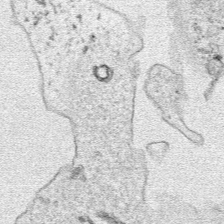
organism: Human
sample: Mitochondria in HCT116 cells